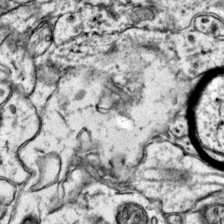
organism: Mouse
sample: Primary visual cortex